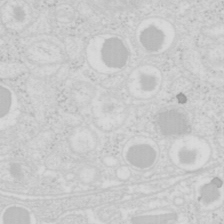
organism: Mouse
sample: Pancreas